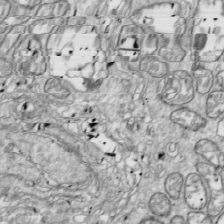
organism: Drosophila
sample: Cell division; meiosis; drosophila spermatocytes